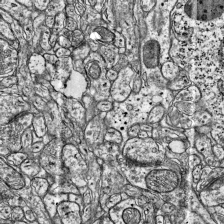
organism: Mouse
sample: Visual Cortex